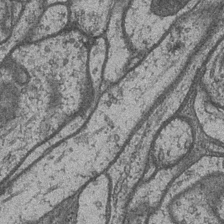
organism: Drosophila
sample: Optic medulla